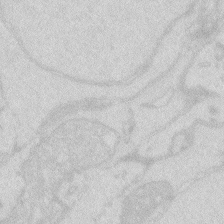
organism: Zebrafish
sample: Macrophage